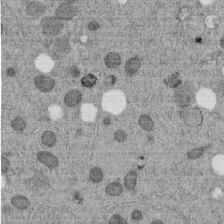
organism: C. elegans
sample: C. elegans embryo early stage